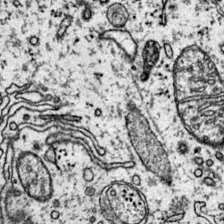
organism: Mouse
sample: Primary visual cortex